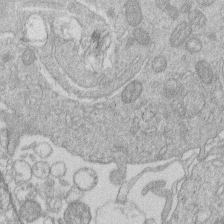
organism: Human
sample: Macrophage cells